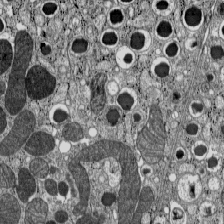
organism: C57BL Mouse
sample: Pancreatic islet